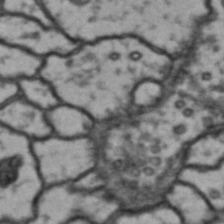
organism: Drosophila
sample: Brain